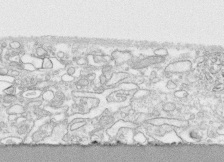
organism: Human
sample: CRL-1474